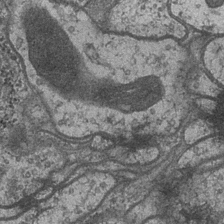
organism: Drosophila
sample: Optic medulla